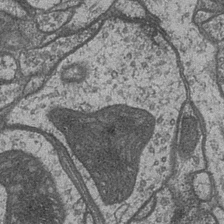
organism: Drosophila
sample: Optic medulla